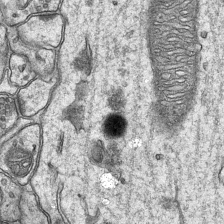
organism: Mouse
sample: CA1 Hippocampus